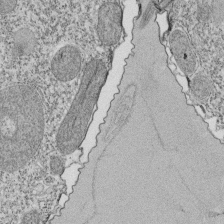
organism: Tetrahymena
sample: Cilia in tetrahymena